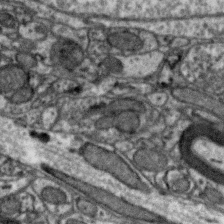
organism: Zebra finch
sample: Brain